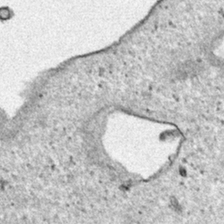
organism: Human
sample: Mitochondria in HCT116 cells